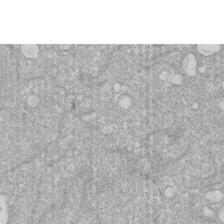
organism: Human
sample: HIV infected U937 cells